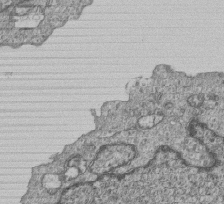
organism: Human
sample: MDA-MB-231 cells